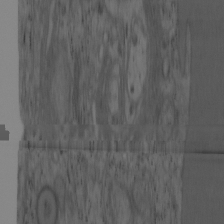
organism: Human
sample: HeLa cells